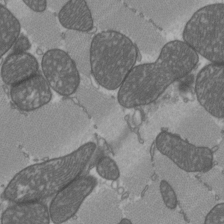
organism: C57BL Mouse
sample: Heart